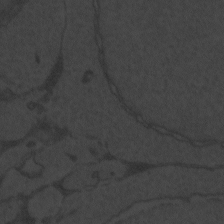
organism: Zebrafish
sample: Macrophage infected with Toxoplasma gondii